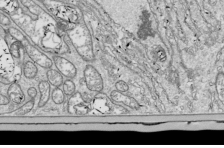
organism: Drosophila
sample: Cell division; meiosis; drosophila spermatocytes